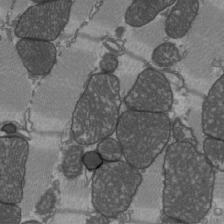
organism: C57BL Mouse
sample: Heart